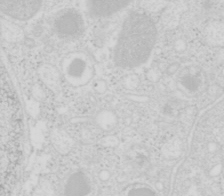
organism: Mouse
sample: Pancreas